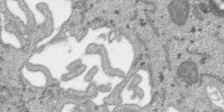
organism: Human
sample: Lung epithelial cells infected with SARS-CoV-2